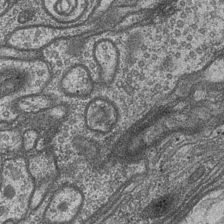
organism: Drosophila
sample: Optic medulla